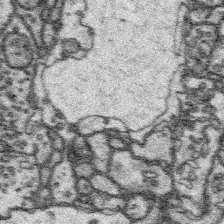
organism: Platynereis dumerilii